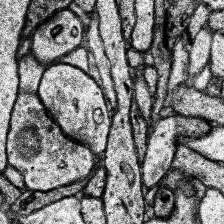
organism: Human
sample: Temporal Lobe